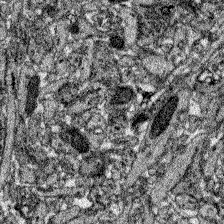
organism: Zebrafish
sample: Larval olfactory bulb